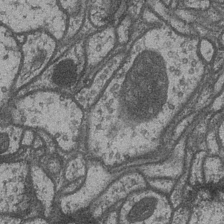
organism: Drosophila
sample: Optic medulla